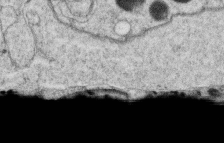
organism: C. elegans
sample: C. elegans oocyte; sperm cells